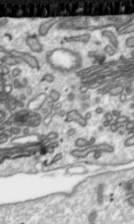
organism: Toxoplasma gondii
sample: Parasites in a vacuole inside a host cell